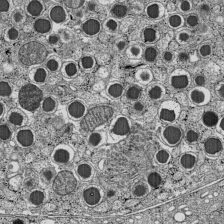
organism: C57BL Mouse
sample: Pancreatic islet